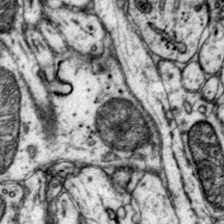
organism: Mouse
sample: Primary visual cortex